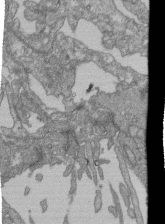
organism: Human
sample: Retinal organoid Rod and Cone cells